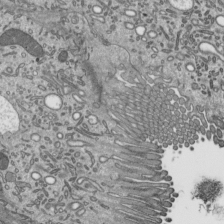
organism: Mouse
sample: Mouse epididymis efferent ductule cilia